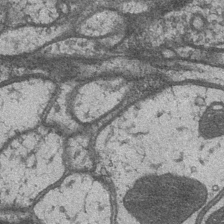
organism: Drosophila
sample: Optic medulla